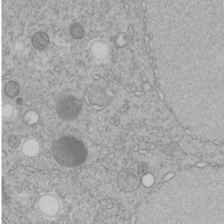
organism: C. elegans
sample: C. elegans embryo early stage